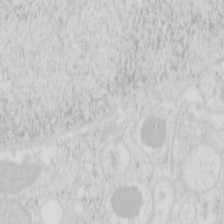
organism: Mouse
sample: Pancreas